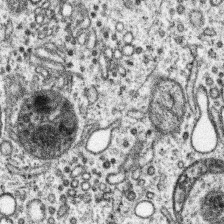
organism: Human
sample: HeLa cells